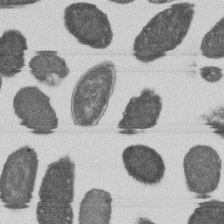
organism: E. coli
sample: Bacterial nucleoid